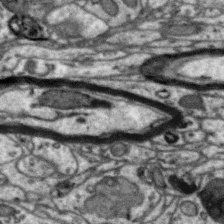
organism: Zebra finch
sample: Brain